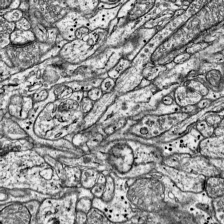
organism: Mouse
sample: Visual Cortex